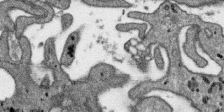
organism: Human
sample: Lung epithelial cells, uninfected (mock) control